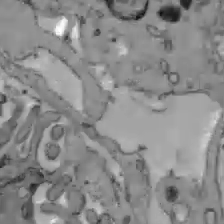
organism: C57BL Mouse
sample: Liver